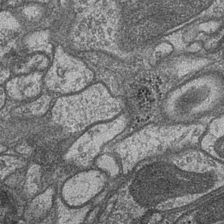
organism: Drosophila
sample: Optic medulla